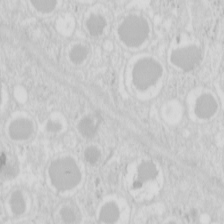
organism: Mouse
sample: Pancreas